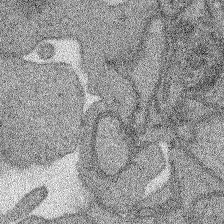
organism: Human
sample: HeLa cells